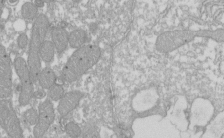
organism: Xenopus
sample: Cilia; centrioles in frog embryo cells